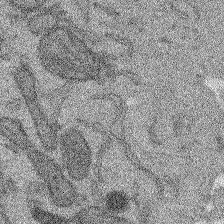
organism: Human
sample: HeLa cells